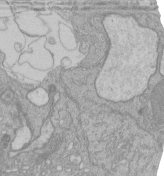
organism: Human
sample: Retinal organoid Rod and Cone cells